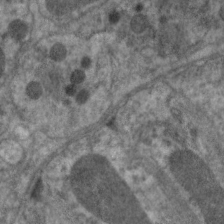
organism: C. elegans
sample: Pharynx